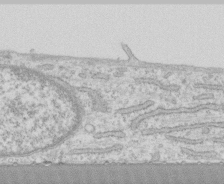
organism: Human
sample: CRL-1474